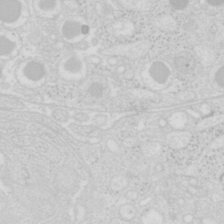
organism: Mouse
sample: Pancreas